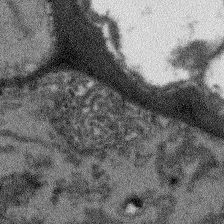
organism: Arabidopsis thaliana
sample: Root tip